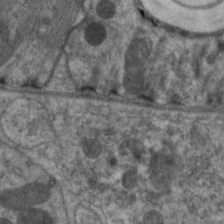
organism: C. elegans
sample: Pharynx